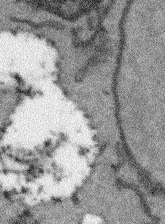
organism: Arabidopsis thaliana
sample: Root tip